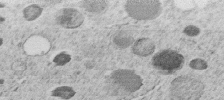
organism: C. elegans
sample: C. elegans embryo early stage